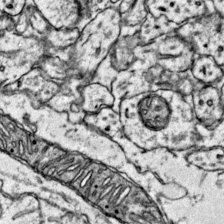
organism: Mouse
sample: Primary visual cortex